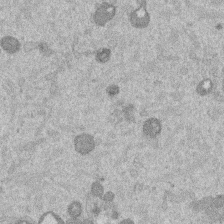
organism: Mouse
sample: Dividing mouse embryo 1 cell stage